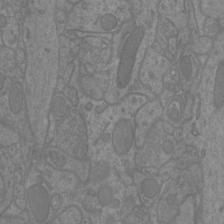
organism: Mouse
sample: Cortical neurons